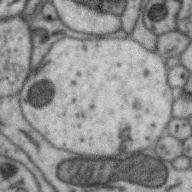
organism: Zebra finch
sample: Brain